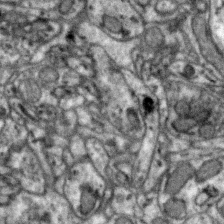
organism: Zebra finch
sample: Brain